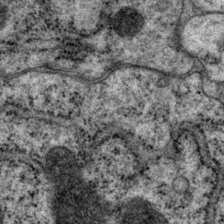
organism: P. pacificus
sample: Pharynx